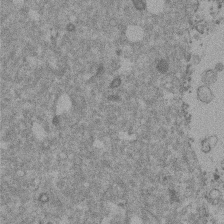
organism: Mouse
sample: Dividing mouse embryo 1 cell stage